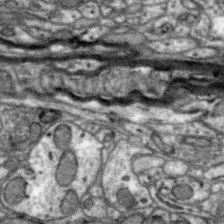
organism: Zebra finch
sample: Brain